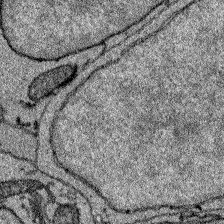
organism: Zebrafish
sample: Larval olfactory bulb